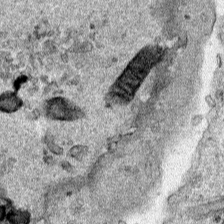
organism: Human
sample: Mitochondria in HCT116 cells